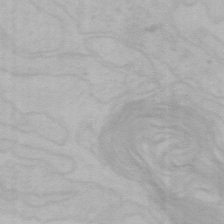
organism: Mouse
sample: Choroid plexus